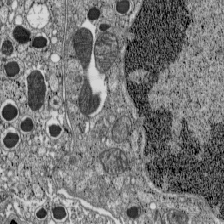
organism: C57BL Mouse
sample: Pancreatic islet